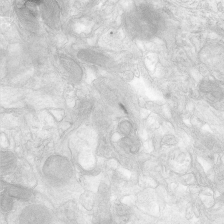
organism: Human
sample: Neocortex